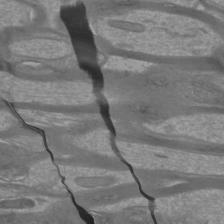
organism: Mouse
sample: Cortical neurons